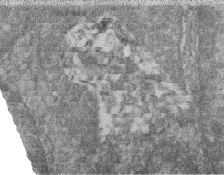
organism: Zebrafish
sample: Cilia; retinal pigment epithelium